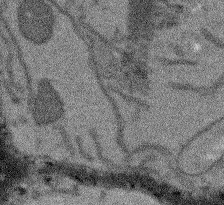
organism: Arabidopsis thaliana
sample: Root tip